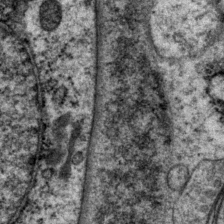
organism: P. pacificus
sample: Pharynx